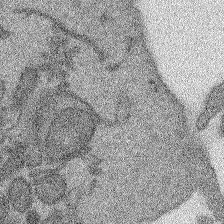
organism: Human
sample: HeLa cells